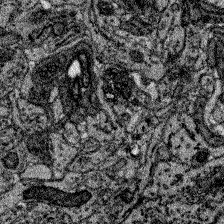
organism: Zebrafish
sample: Larval olfactory bulb